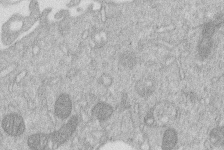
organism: Human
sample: Macrophage cells